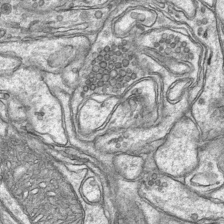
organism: Mouse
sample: CA1 Hippocampus